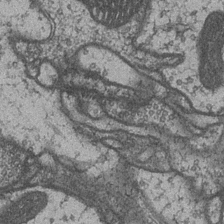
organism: Drosophila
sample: Optic medulla